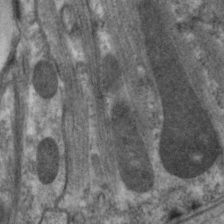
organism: C. elegans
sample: Pharynx